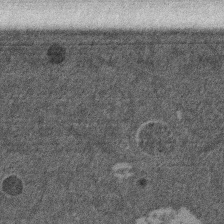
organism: Mouse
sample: Dividing mouse embryo 1 cell stage